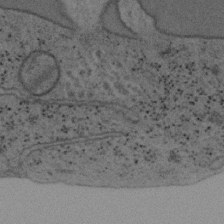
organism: Human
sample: HeLa cells